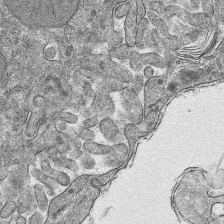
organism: Mouse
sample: Mouse hepatocytes